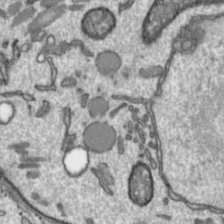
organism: Toxoplasma gondii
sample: Parasites in a vacuole inside a host cell